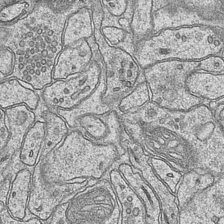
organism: Mouse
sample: CA1 Hippocampus